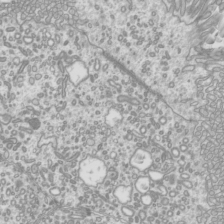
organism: Mouse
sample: Cilia; mouse epididymis